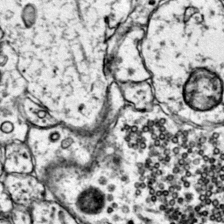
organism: Mouse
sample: Primary visual cortex